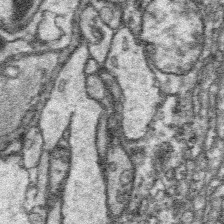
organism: Platynereis dumerilii